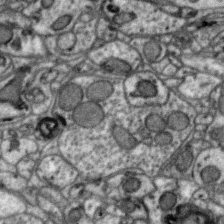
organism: Zebra finch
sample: Brain